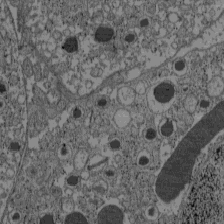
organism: C57BL Mouse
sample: Pancreatic islet